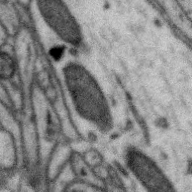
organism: Zebra finch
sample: Brain